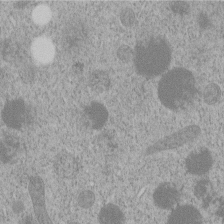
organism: C. elegans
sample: C. elegans embryo early stage